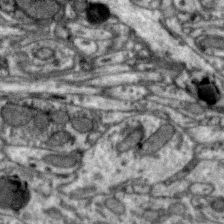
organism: Zebra finch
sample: Brain